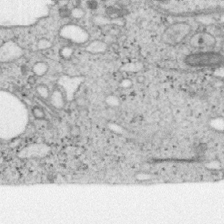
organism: Mouse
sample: OT-I killer T cells with ID8 ovarian cancer cells